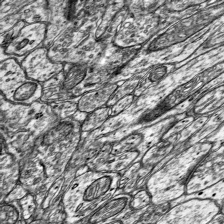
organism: Mouse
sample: Visual Cortex